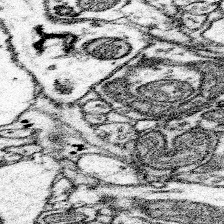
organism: Mouse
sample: Somatosensory cortex neuropil